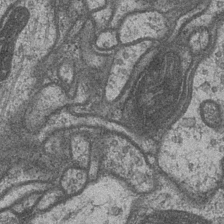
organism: Drosophila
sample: Optic medulla